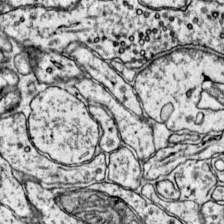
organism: Mouse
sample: Primary visual cortex